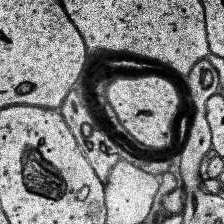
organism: Human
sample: Temporal Lobe